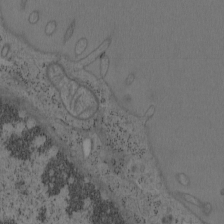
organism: Mouse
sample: OT-I killer T cells with ID8 ovarian cancer cells